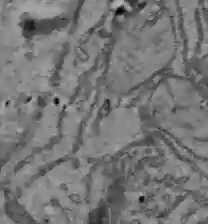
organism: C57BL Mouse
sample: Liver